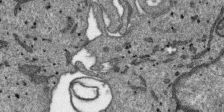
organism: Human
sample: Lung epithelial cells, uninfected (mock) control